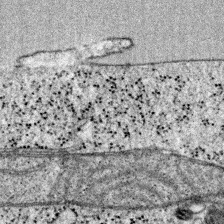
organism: Human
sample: HeLa cells